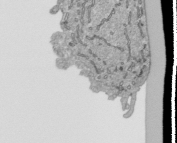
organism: Human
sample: Mitochondria in HCT116 cells